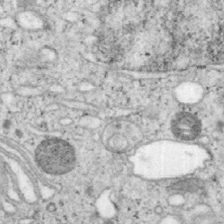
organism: Mouse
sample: OT-I killer T cells with ID8 ovarian cancer cells